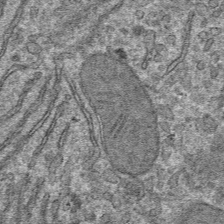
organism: Mouse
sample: Mouse hepatocytes